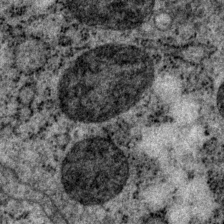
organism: P. pacificus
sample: Pharynx